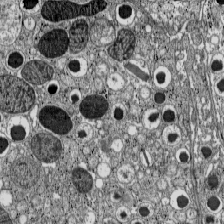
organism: C57BL Mouse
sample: Pancreatic islet